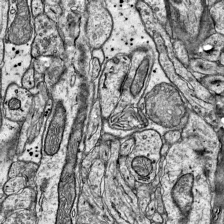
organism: Mouse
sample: Visual Cortex